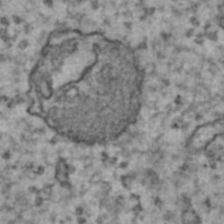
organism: Human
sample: Blood